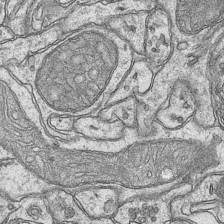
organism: Mouse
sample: CA1 Hippocampus